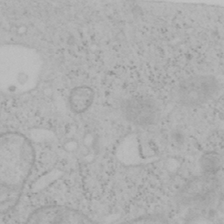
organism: Mouse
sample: OT-I killer T cells with ID8 ovarian cancer cells